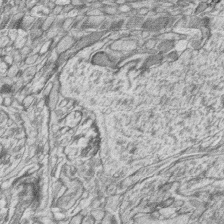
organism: Zebrafish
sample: synaptic ribbons in rod cells and cone cells